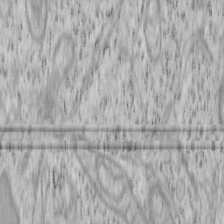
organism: Human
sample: HeLa cells